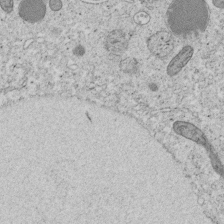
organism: C. elegans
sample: C. elegans embryo early stage